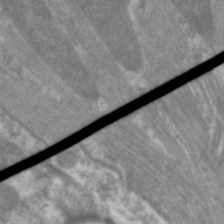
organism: C. elegans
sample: Pharynx